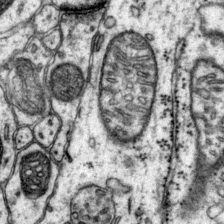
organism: Mouse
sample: Primary visual cortex